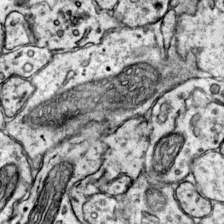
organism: Mouse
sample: Primary visual cortex